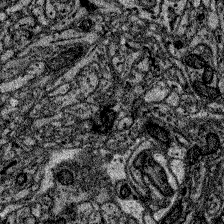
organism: Zebrafish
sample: Larval olfactory bulb